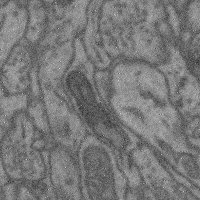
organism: Mouse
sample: Cerebral cortex